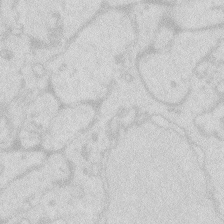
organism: Zebrafish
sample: Macrophage